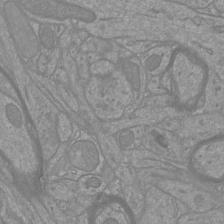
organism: Mouse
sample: Cortical neurons